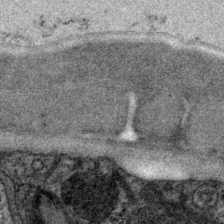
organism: P. pacificus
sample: Pharynx